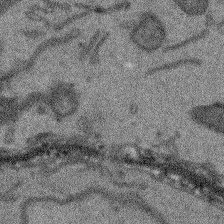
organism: Arabidopsis thaliana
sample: Root tip